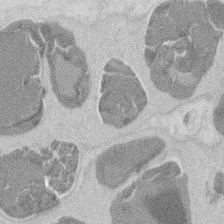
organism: Mouse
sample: T cell stromal cell synapse